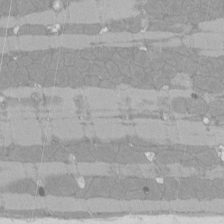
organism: Rat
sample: Left ventricle